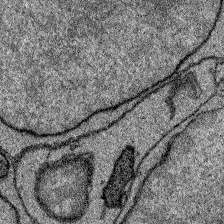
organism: Zebrafish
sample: Larval olfactory bulb